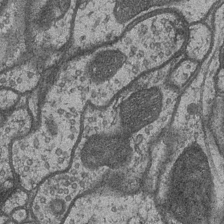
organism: Drosophila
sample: Optic medulla